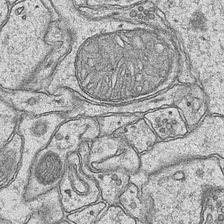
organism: Mouse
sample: CA1 Hippocampus